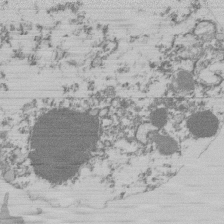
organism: Mouse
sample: Activated Pmel transgenic CD8+ T Cells